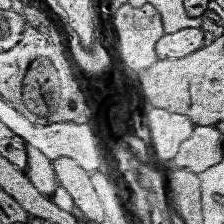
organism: Human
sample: Temporal Lobe